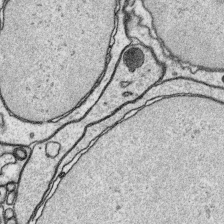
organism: Platynereis dumerilii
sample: Parapodia